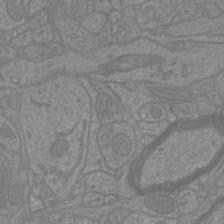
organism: Mouse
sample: Cortical neurons